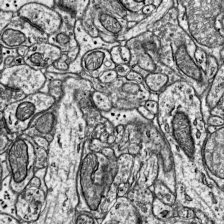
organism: Mouse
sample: Visual Cortex